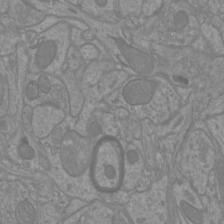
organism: Mouse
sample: Cortical neurons